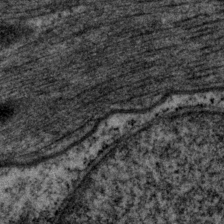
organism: P. pacificus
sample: Pharynx